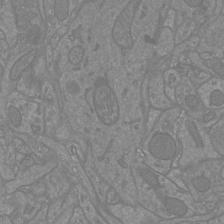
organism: Mouse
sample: Cortical neurons